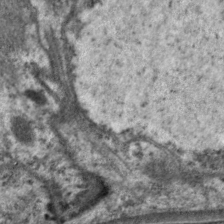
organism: C. elegans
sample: Pharynx